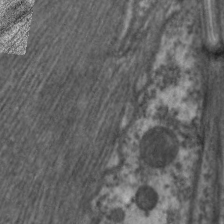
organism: C. elegans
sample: Pharynx